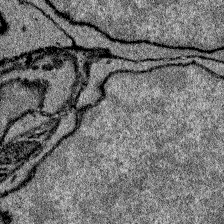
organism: Zebrafish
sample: Larval olfactory bulb